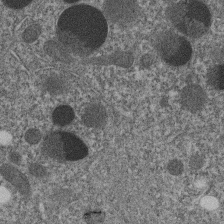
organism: C. elegans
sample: C. elegans embryo early stage